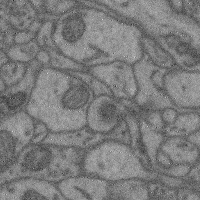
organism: Mouse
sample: Cerebral cortex